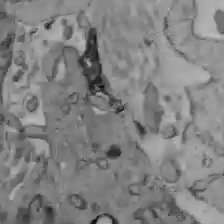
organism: C57BL Mouse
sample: Liver